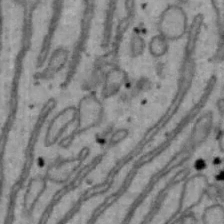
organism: Mouse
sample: Liver